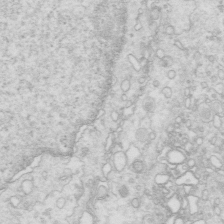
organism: Mouse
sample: Multiciliated cells